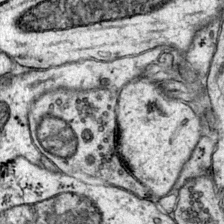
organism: Mouse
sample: Primary visual cortex